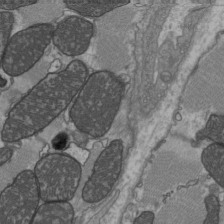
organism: C57BL Mouse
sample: Heart